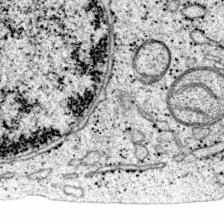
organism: Human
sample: HeLa cells